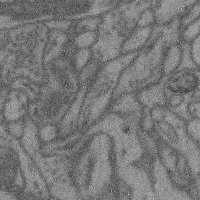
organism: Mouse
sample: Cerebral cortex